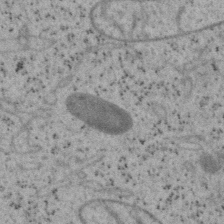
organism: Human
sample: HeLa cells